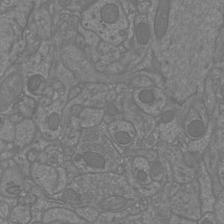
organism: Mouse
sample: Cortical neurons